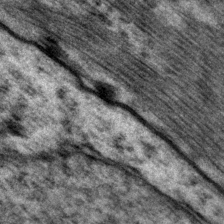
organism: P. pacificus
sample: Pharynx